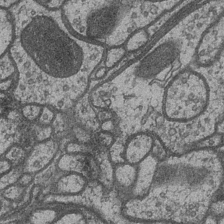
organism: Drosophila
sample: Optic medulla